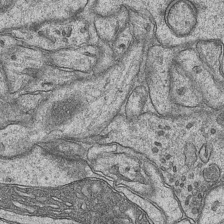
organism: Mouse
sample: CA1 Hippocampus